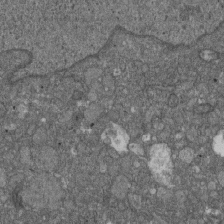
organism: Drosophila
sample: Nephrocyte